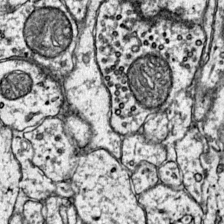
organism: Mouse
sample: Primary visual cortex